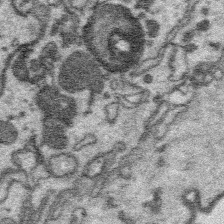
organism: Platynereis dumerilii